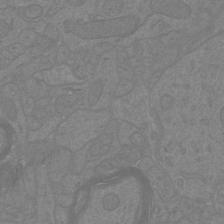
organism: Mouse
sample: Cortical neurons